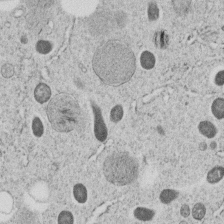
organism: C. elegans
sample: C. elegans embryo early stage